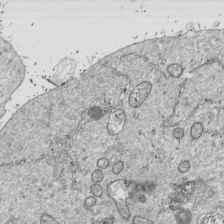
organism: Drosophila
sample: Cell division; meiosis; drosophila spermatocytes